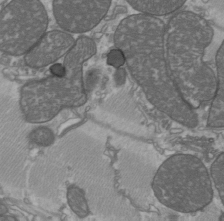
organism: C57BL Mouse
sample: Heart